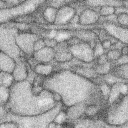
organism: Rabbit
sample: Retina